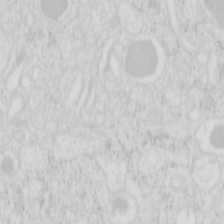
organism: Mouse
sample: Pancreas